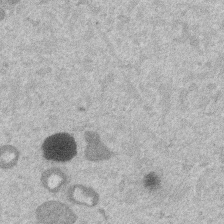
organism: Mouse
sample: Dividing mouse embryo 1 cell stage